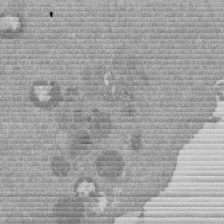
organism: Mouse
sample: Dividing mouse embryo 1 cell stage